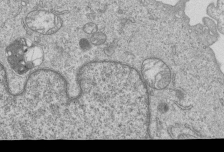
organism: Human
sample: MDA-MB-231 cells